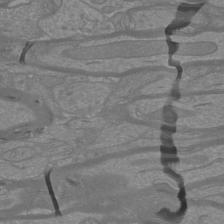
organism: Mouse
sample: Cortical neurons